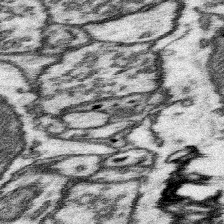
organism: Mouse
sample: Somatosensory cortex neuropil